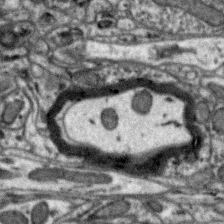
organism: Zebra finch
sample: Brain